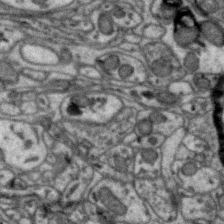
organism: Zebra finch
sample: Brain